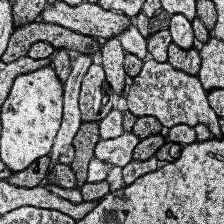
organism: Human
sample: Temporal Lobe